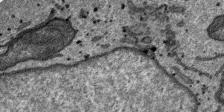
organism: Human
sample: Lung epithelial cells, uninfected (mock) control